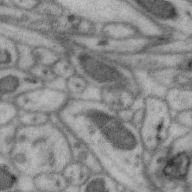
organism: Zebra finch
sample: Brain